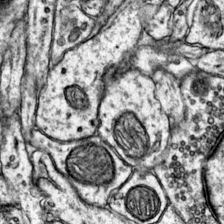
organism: Mouse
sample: Primary visual cortex